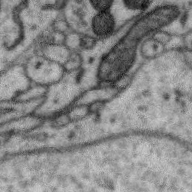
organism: Zebra finch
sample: Brain